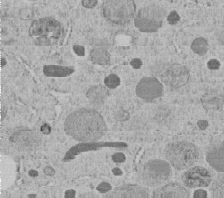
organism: C. elegans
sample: C. elegans embryo early stage